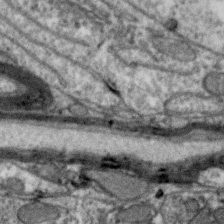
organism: Zebra finch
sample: Brain